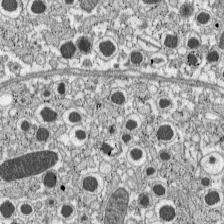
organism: C57BL Mouse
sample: Pancreatic islet